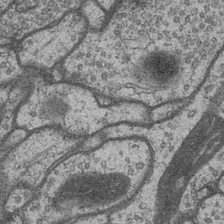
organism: Drosophila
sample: Optic medulla